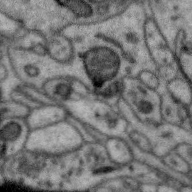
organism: Zebra finch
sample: Brain